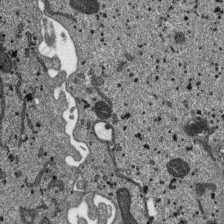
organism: Human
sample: Lung epithelial cells infected with SARS-CoV-2